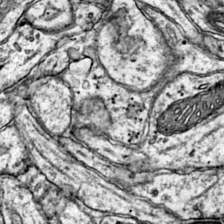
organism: Mouse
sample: Primary visual cortex